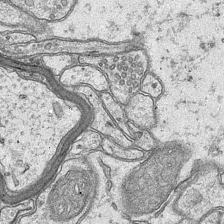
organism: Mouse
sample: CA1 Hippocampus